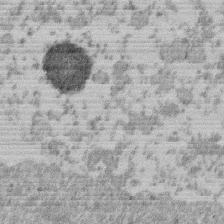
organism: Mouse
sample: Dividing mouse embryo 1 cell stage